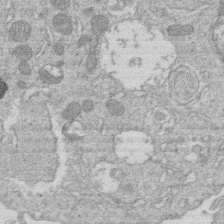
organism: Human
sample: Macrophage cells